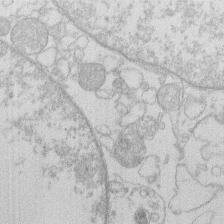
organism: Human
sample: Macrophage cells